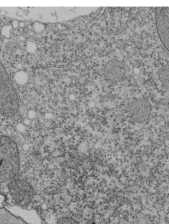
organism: Tetrahymena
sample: Cilia in tetrahymena